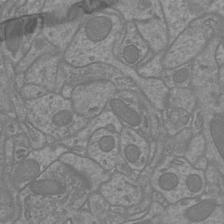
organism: Mouse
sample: Cortical neurons